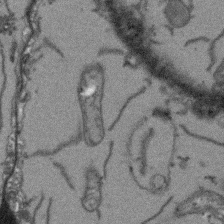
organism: Arabidopsis thaliana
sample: Root tip